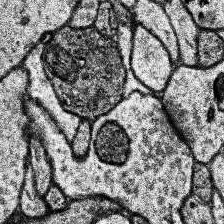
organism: Human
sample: Temporal Lobe